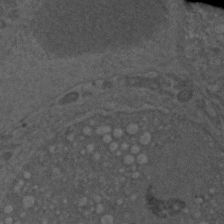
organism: C. elegans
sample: C. elegans embryo